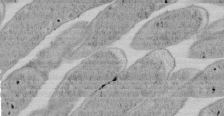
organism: E. coli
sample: Bacterial nucleoid